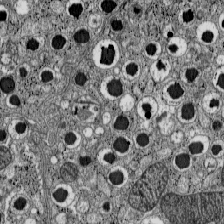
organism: C57BL Mouse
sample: Pancreatic islet